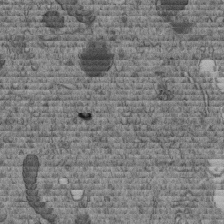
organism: C. elegans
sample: C. elegans embryo early stage